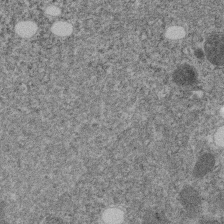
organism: C. elegans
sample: C. elegans embryo early stage